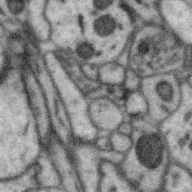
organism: Zebra finch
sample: Brain